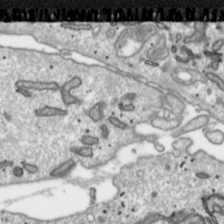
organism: Toxoplasma gondii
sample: Parasites in a vacuole inside a host cell